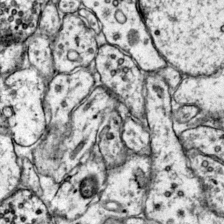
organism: Mouse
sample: Primary visual cortex